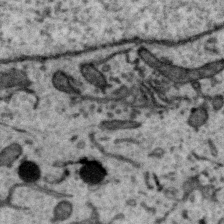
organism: Zebra finch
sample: Brain